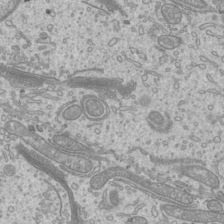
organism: Mouse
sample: Cilia; mouse epididymis